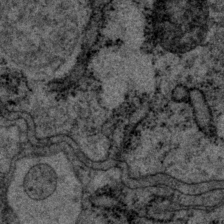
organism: P. pacificus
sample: Pharynx